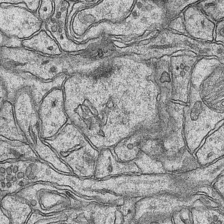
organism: Mouse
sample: CA1 Hippocampus